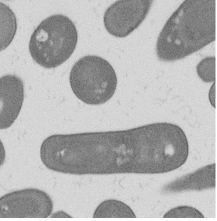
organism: B. subtilis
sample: Bacterial spore